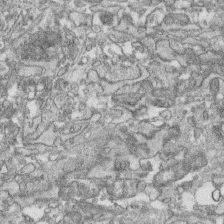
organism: Human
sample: CRL-1474